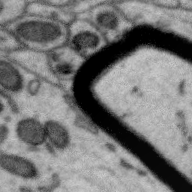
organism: Zebra finch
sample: Brain